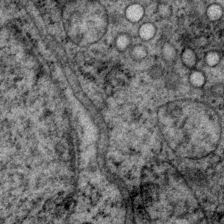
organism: P. pacificus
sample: Pharynx